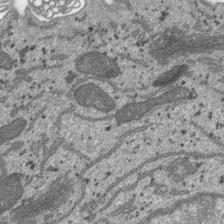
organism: Human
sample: Lung epithelial cells infected with SARS-CoV-2